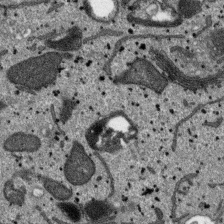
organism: Human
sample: Lung epithelial cells, uninfected (mock) control